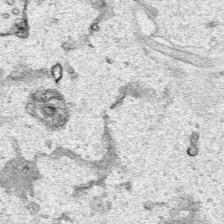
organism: Human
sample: Mitochondria in HCT116 cells